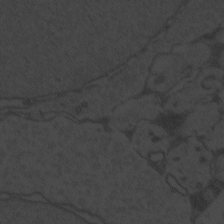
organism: Zebrafish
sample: Macrophage infected with Toxoplasma gondii